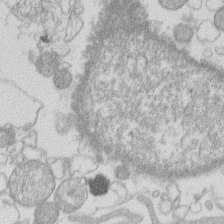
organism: Human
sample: Macrophage cells